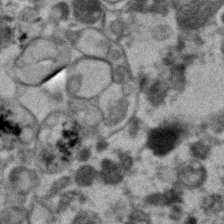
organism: Human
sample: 1205lu cells